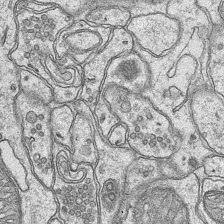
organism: Mouse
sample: CA1 Hippocampus